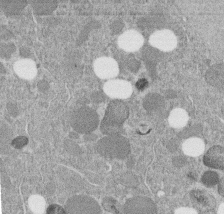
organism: C. elegans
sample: C. elegans embryo early stage